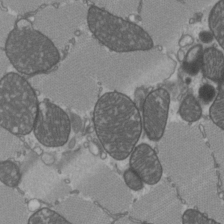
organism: C57BL Mouse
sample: Heart